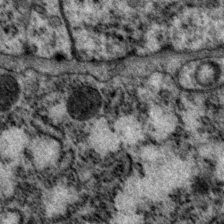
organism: P. pacificus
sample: Pharynx